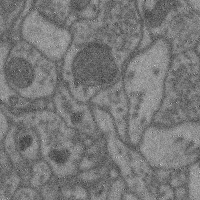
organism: Mouse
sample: Cerebral cortex